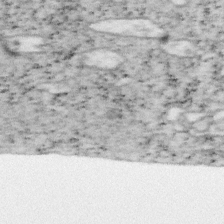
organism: Mouse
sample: OT-I killer T cells with ID8 ovarian cancer cells